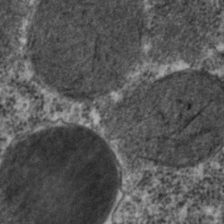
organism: C. elegans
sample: C. elegans embryo